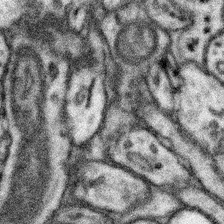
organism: Mouse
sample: Somatosensory cortex neuropil